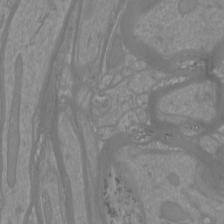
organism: Mouse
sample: Cortical neurons